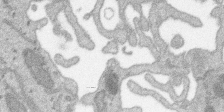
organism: Human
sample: Lung epithelial cells infected with SARS-CoV-2